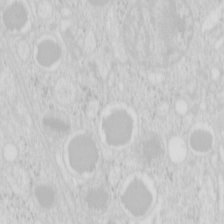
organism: Mouse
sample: Pancreas